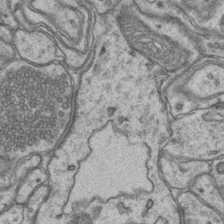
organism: Mouse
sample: CA1 Hippocampus